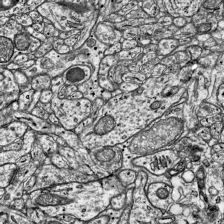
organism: Mouse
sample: Visual Cortex